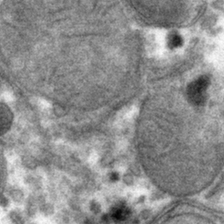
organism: Mouse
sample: Mouse hepatocytes